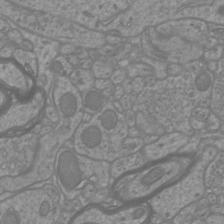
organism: Mouse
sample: Cortical neurons